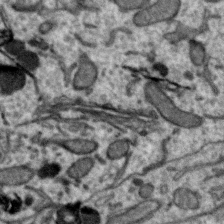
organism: Zebra finch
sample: Brain